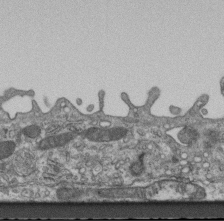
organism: Mouse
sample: Centriole in ependymal cells